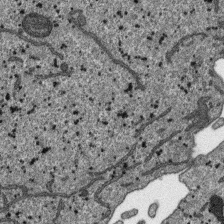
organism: Human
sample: Lung epithelial cells infected with SARS-CoV-2